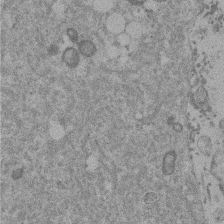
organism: Mouse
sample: Dividing mouse embryo 1 cell stage